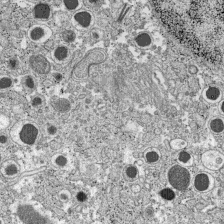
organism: C57BL Mouse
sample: Pancreatic islet